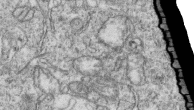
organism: Human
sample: HeLa cell HIV synapse